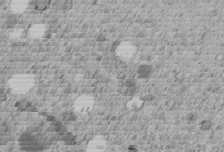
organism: C. elegans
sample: C. elegans embryo early stage